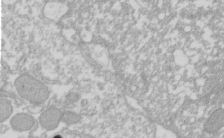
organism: Xenopus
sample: Cilia; centrioles in frog embryo cells